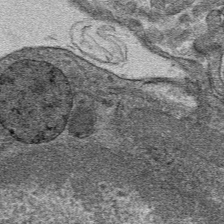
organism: Mouse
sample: Mouse hepatocytes